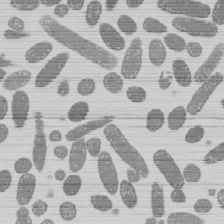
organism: E. coli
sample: Bacterial nucleoid